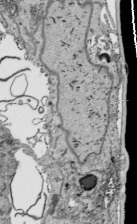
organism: Human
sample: Mitochondria in HCT116 cells